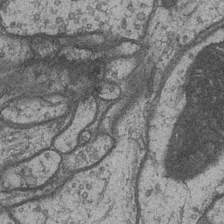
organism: Drosophila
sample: Optic medulla